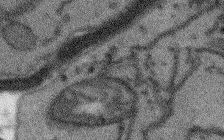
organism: Arabidopsis thaliana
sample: Root tip